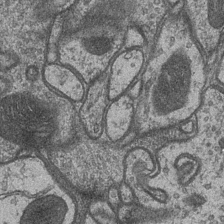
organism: Drosophila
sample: Optic medulla